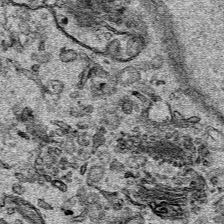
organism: Human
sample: Mitochondria in HCT116 cells